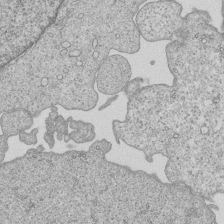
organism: Human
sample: MDA-MB-231 cells